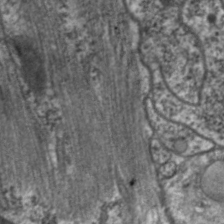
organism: C. elegans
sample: Pharynx